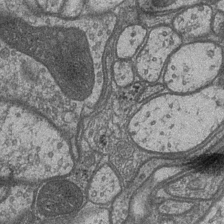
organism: Drosophila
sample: Optic medulla